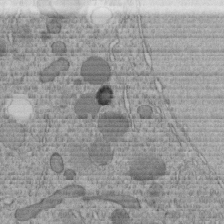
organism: C. elegans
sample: C. elegans embryo early stage